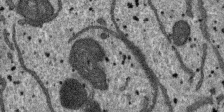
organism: Human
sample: Lung epithelial cells, uninfected (mock) control